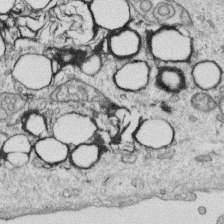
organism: Human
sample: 1205lu cells